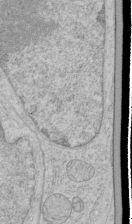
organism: Human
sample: Mitochondria in HCT116 cells